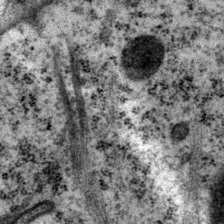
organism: P. pacificus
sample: Pharynx